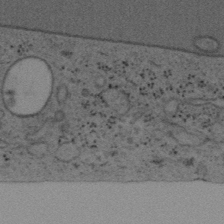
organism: Human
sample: HeLa cells